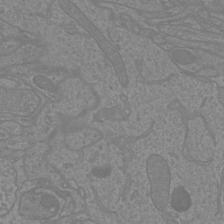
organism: Mouse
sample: Cortical neurons